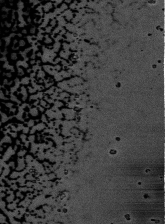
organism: Human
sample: Activated Jurkat CD4+ T cells